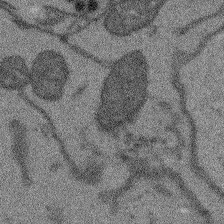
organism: Arabidopsis thaliana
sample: Root tip